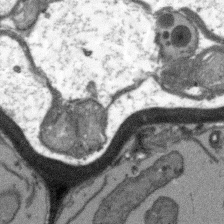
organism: Arabidopsis thaliana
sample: Root tip